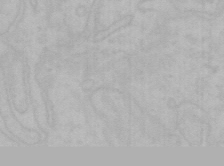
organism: Mouse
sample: Choroid plexus